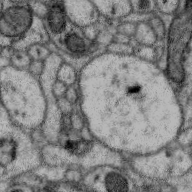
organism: Zebra finch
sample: Brain